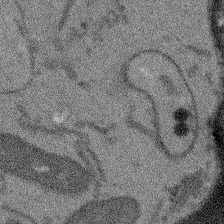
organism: Arabidopsis thaliana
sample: Root tip